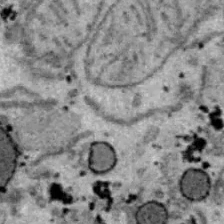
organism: Mouse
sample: Liver from an obese (ob/ob) mouse